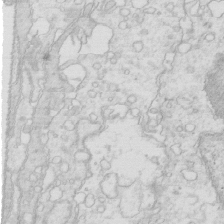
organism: Mouse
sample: Multiciliated cells